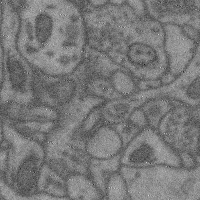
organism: Mouse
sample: Cerebral cortex